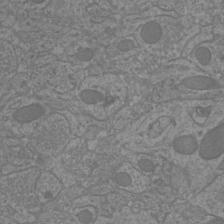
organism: Mouse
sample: Cortical neurons